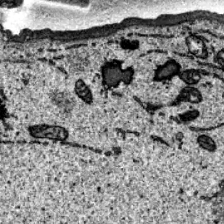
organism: Human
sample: HeLa cells